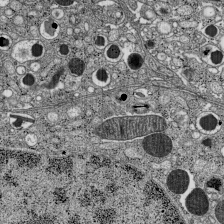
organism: C57BL Mouse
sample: Pancreatic islet